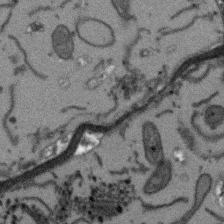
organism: Arabidopsis thaliana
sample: Root tip